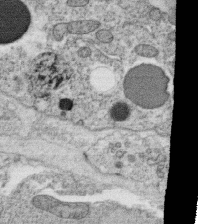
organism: C. elegans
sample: C. elegans oocyte; sperm cells